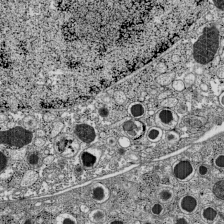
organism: C57BL Mouse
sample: Pancreatic islet